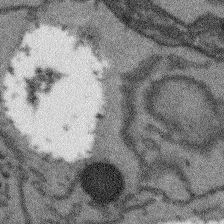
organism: Arabidopsis thaliana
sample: Root tip